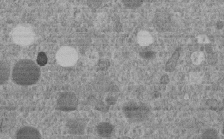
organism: C. elegans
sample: C. elegans embryo early stage